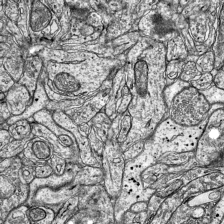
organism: Mouse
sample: Visual Cortex